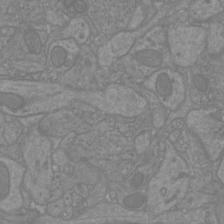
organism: Mouse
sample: Cortical neurons